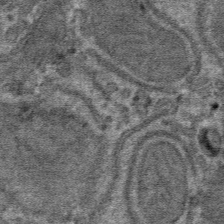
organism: Mouse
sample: Mouse hepatocytes